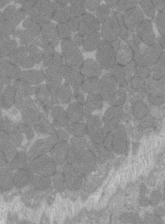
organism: C57BL Mouse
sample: Tibialis anterior muscle cell